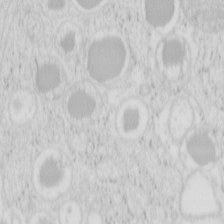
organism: Mouse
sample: Pancreas